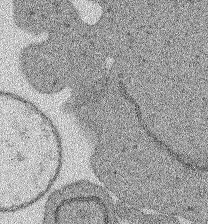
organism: Human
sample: HeLa cells